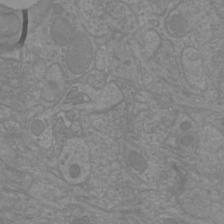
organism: Mouse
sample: Cortical neurons